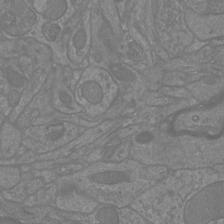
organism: Mouse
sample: Cortical neurons